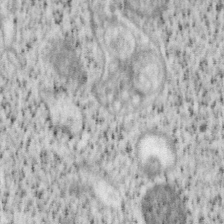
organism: Mouse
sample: OT-I killer T cells with ID8 ovarian cancer cells